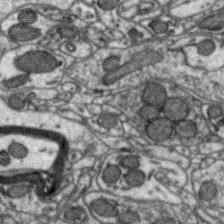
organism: Zebra finch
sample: Brain